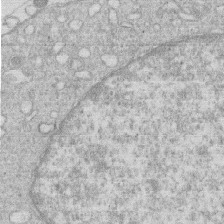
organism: Human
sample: Macrophage cells